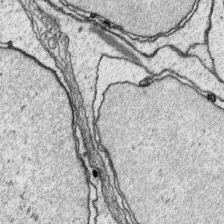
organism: Platynereis dumerilii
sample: Parapodia